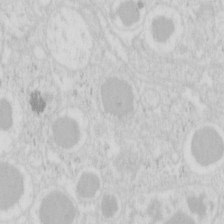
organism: Mouse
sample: Pancreas